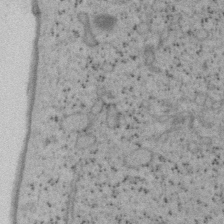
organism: Human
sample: HeLa cells